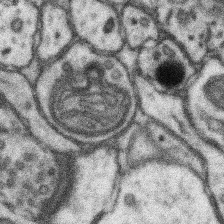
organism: Mouse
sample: Somatosensory cortex neuropil